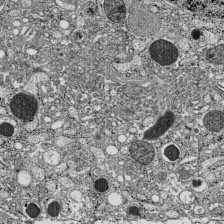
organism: C57BL Mouse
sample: Pancreatic islet